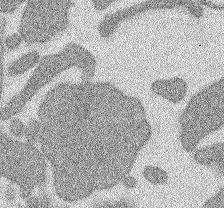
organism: Human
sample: HeLa cells